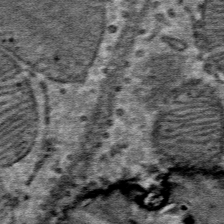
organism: Mouse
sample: Mouse Salivary gland